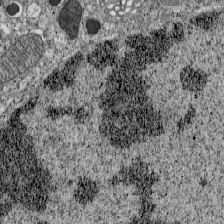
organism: C57BL Mouse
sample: Pancreatic islet